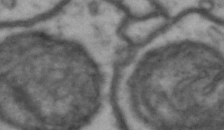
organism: Drosophila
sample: Brain